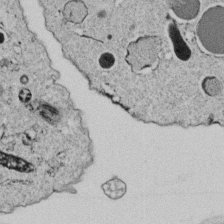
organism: C. elegans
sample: C. elegans embryo early stage